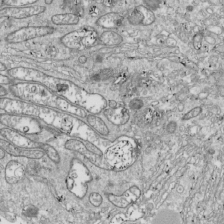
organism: Drosophila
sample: Cell division; meiosis; drosophila spermatocytes